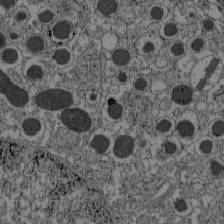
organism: C57BL Mouse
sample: Pancreatic islet